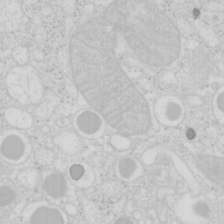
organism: Mouse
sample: Pancreas